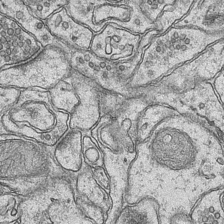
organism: Mouse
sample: CA1 Hippocampus